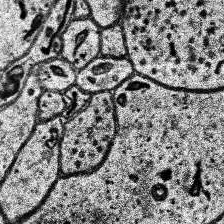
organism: Human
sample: Temporal Lobe